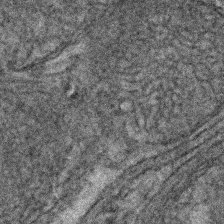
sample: Kidney